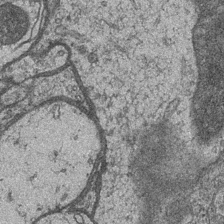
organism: Drosophila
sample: Optic medulla